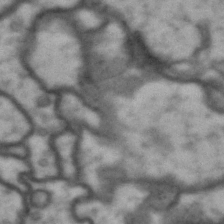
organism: Drosophila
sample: Brain